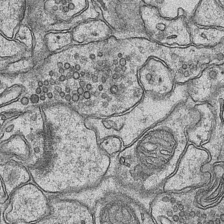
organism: Mouse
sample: CA1 Hippocampus